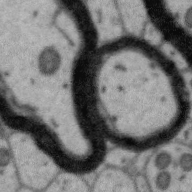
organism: Zebra finch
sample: Brain